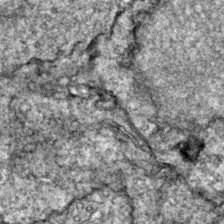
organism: Zebrafish